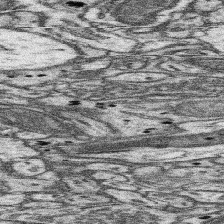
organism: Mouse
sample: Somatosensory cortex neuropil